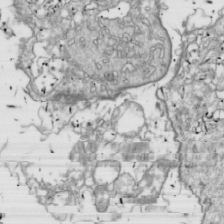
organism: Drosophila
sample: Cell division; meiosis; drosophila spermatocytes